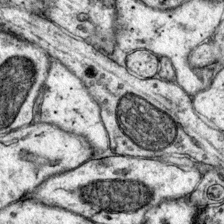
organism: Mouse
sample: Primary visual cortex